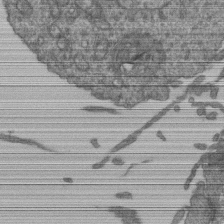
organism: Human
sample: Retinal organoid Rod and Cone cells